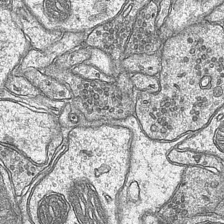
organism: Mouse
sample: CA1 Hippocampus